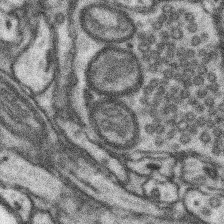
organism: Mouse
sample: Somatosensory cortex neuropil